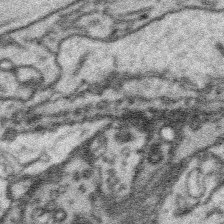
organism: Platynereis dumerilii